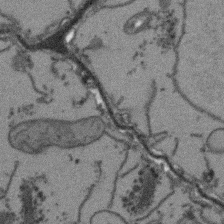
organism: Arabidopsis thaliana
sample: Root tip